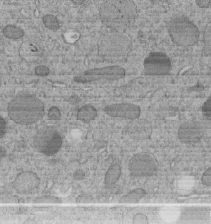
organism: C. elegans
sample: C. elegans embryo early stage